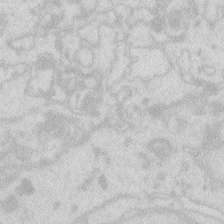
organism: Zebrafish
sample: Macrophage